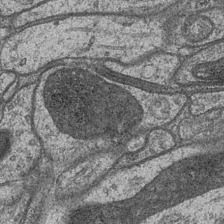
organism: Drosophila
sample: Optic medulla